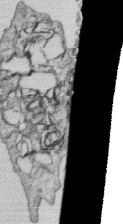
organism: Human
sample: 1205lu cells